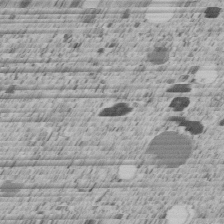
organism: C. elegans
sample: C. elegans embryo early stage